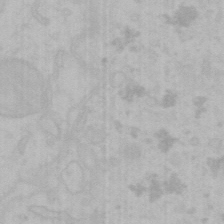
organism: Mouse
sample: Choroid plexus